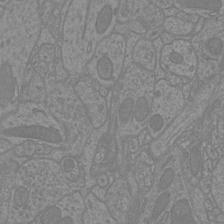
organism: Mouse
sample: Cortical neurons